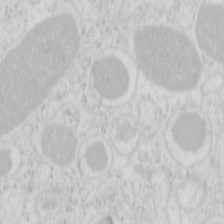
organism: Mouse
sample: Pancreas